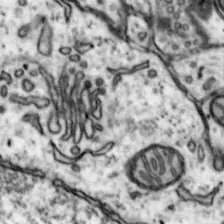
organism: Mouse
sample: Nucleus accumbens